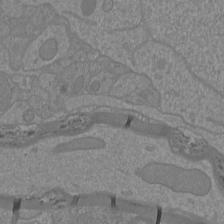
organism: Mouse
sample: Cortical neurons